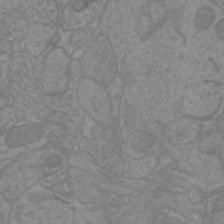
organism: Mouse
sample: Cortical neurons